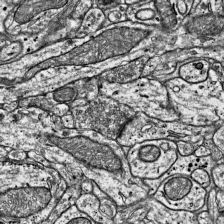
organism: Mouse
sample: Visual Cortex